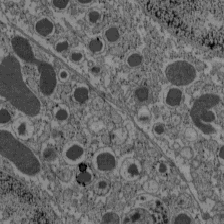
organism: C57BL Mouse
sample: Pancreatic islet